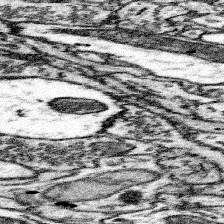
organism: Mouse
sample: Somatosensory cortex neuropil